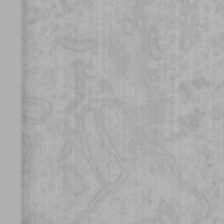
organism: Mouse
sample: Choroid plexus